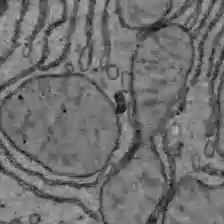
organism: C57BL Mouse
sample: Liver